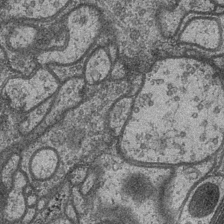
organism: Drosophila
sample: Optic medulla